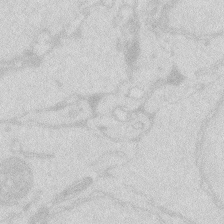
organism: Zebrafish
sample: Macrophage